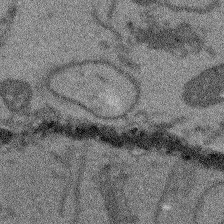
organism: Arabidopsis thaliana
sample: Root tip